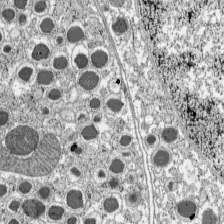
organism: C57BL Mouse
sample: Pancreatic islet